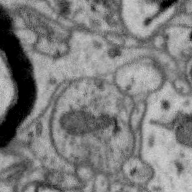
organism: Zebra finch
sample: Brain